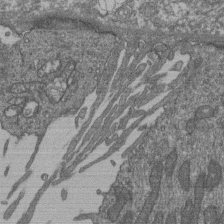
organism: Human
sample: Retinal organoid Rod and Cone cells